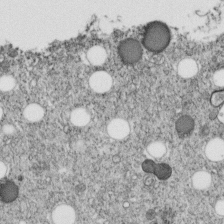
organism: C. elegans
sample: C. elegans embryo early stage